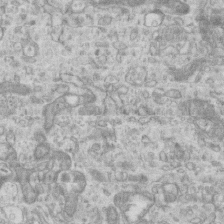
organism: Mouse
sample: Centriole in ependymal cells